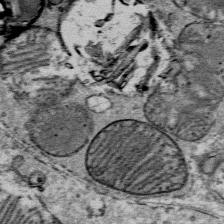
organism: Mouse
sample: Mouse Salivary gland